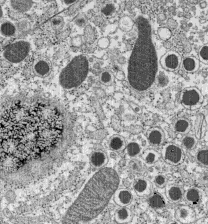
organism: C57BL Mouse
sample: Pancreatic islet